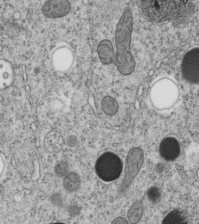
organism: C. elegans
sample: C. elegans embryo early stage